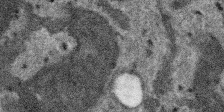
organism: Human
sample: Lung epithelial cells infected with SARS-CoV-2